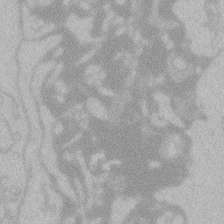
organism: Zebrafish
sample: Macrophage infected with Toxoplasma gondii